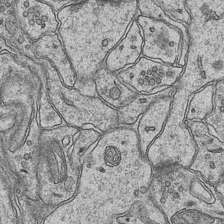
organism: Mouse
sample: CA1 Hippocampus